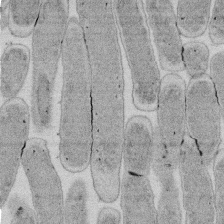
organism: E. coli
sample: Bacterial nucleoid